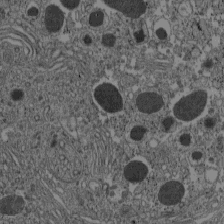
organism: C57BL Mouse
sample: Pancreatic islet